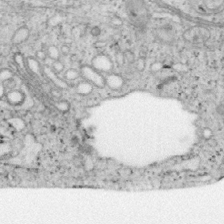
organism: Mouse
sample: OT-I killer T cells with ID8 ovarian cancer cells